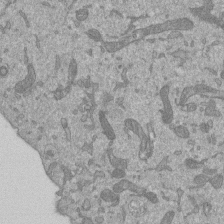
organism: Mouse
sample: ED-1 cell nuclei; centrioles